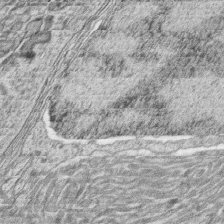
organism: Zebrafish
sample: synaptic ribbons in rod cells and cone cells